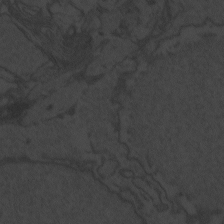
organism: Zebrafish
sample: Macrophage infected with Toxoplasma gondii